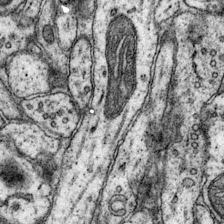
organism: Mouse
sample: Primary visual cortex